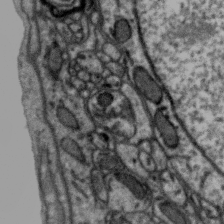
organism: Zebra finch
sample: Brain